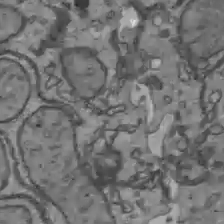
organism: C57BL Mouse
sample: Liver